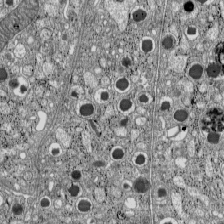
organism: C57BL Mouse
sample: Pancreatic islet